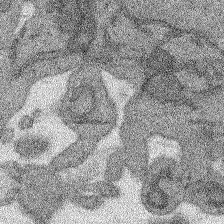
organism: Human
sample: HeLa cells